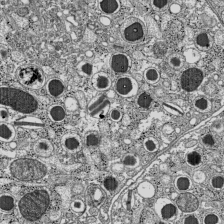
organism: C57BL Mouse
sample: Pancreatic islet